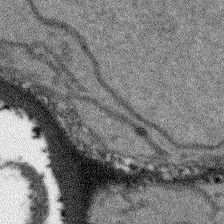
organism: Arabidopsis thaliana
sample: Root tip